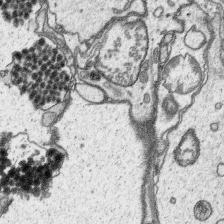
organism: Platynereis dumerilii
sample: Parapodia